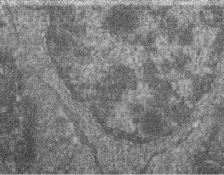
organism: Zebrafish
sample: Cilia; retinal pigment epithelium